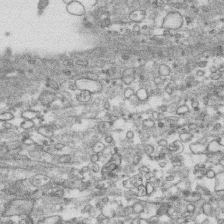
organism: Human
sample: CRL-1474